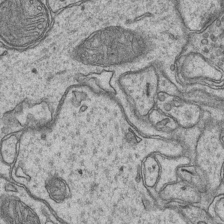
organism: Mouse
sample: CA1 Hippocampus